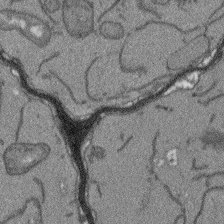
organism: Arabidopsis thaliana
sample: Root tip